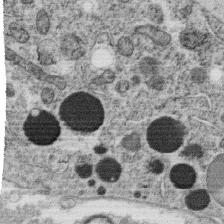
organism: C. elegans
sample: C. elegans oocyte; sperm cells